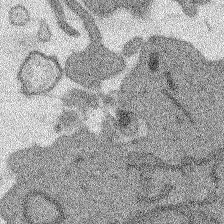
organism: Human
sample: HeLa cells